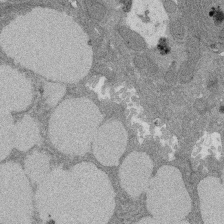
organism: Rat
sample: Salivary granule